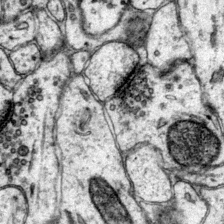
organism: Mouse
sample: Primary visual cortex